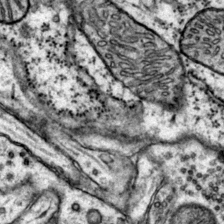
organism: Mouse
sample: Primary visual cortex